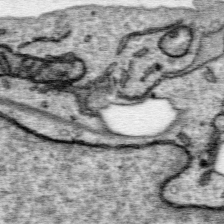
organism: Human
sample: HeLa cells